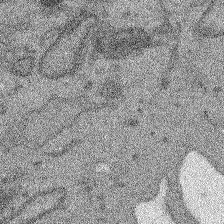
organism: Human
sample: HeLa cells